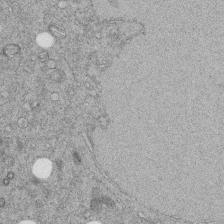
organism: C. elegans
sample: C. elegans embryo early stage